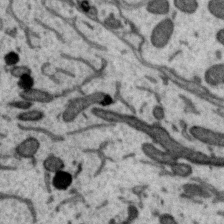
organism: Zebra finch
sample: Brain